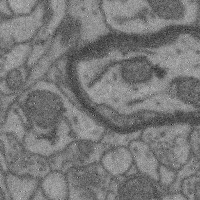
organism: Mouse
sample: Cerebral cortex